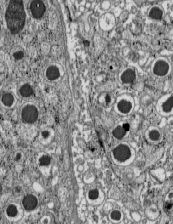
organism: C57BL Mouse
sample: Pancreatic islet